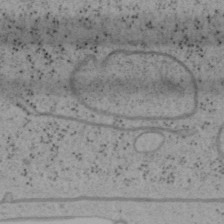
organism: Human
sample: HeLa cells